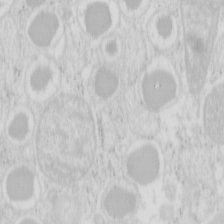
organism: Mouse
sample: Pancreas